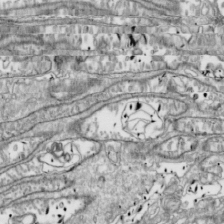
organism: Drosophila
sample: Cell division; meiosis; drosophila spermatocytes